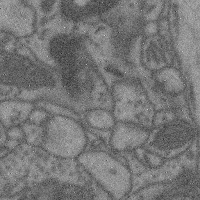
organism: Mouse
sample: Cerebral cortex